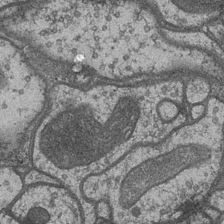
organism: Drosophila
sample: Optic medulla